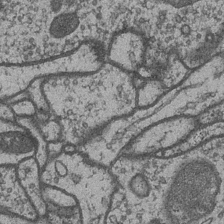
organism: Drosophila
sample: Optic medulla